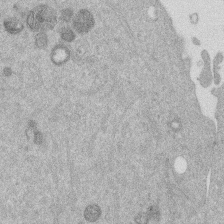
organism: Mouse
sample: Dividing mouse embryo 1 cell stage